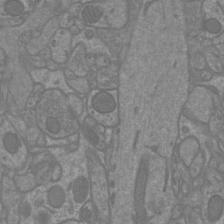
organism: Mouse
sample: Cortical neurons